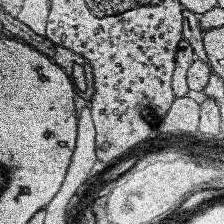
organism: Human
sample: Temporal Lobe